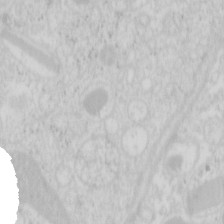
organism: Mouse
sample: Pancreas